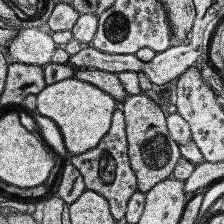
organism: Human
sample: Temporal Lobe